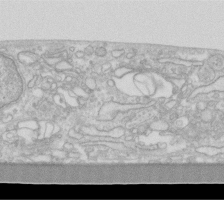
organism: Human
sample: Fibroblast cells